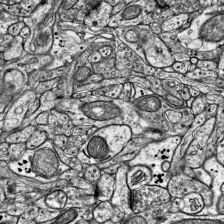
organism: Mouse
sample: Visual Cortex